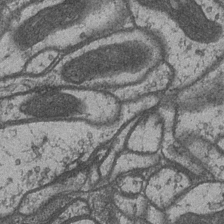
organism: Drosophila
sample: Optic medulla